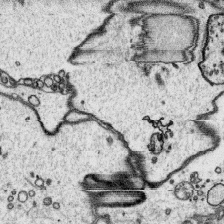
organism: Platynereis dumerilii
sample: Parapodia